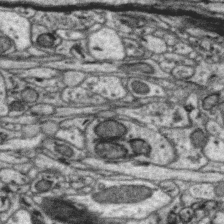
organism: Zebra finch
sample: Brain